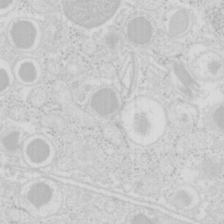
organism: Mouse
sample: Pancreas